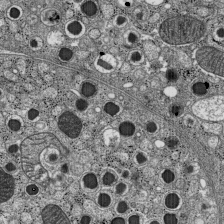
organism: C57BL Mouse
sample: Pancreatic islet